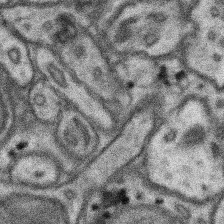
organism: Mouse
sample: Somatosensory cortex neuropil